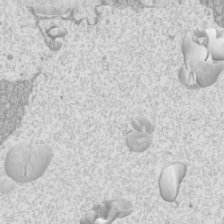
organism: Mouse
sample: Cilia; mouse epididymis